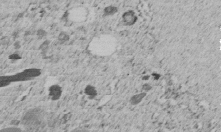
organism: C. elegans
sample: C. elegans embryo early stage